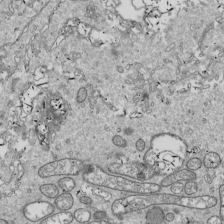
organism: Drosophila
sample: Cell division; meiosis; drosophila spermatocytes